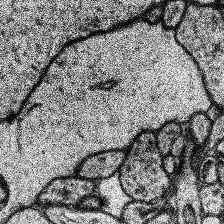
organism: Human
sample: Temporal Lobe